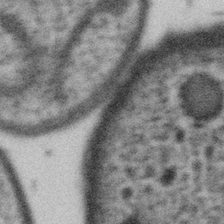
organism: Gemmata obscuriglobus